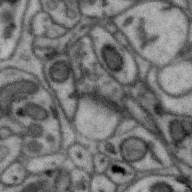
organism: Zebra finch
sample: Brain